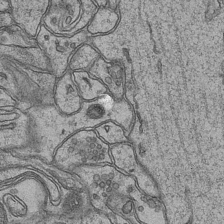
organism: Mouse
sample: CA1 Hippocampus